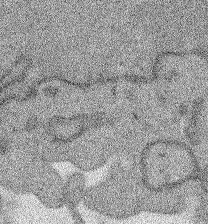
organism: Human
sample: HeLa cells